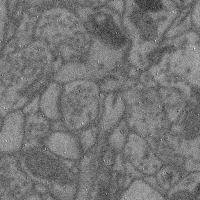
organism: Mouse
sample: Cerebral cortex